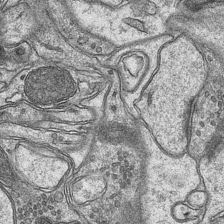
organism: Mouse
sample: CA1 Hippocampus